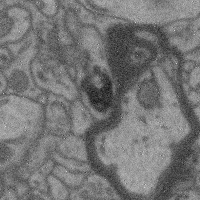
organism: Mouse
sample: Cerebral cortex